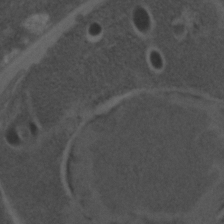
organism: C. elegans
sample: C. elegans embryo